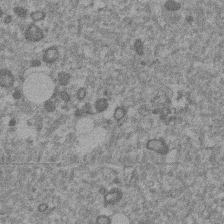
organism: Mouse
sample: Dividing mouse embryo 1 cell stage